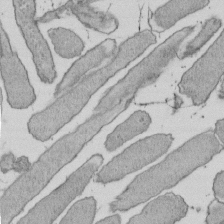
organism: E. coli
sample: Bacterial nucleoid